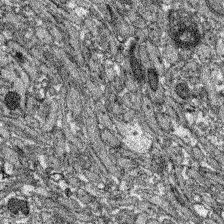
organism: Zebrafish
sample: Larval olfactory bulb